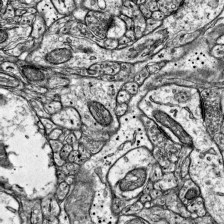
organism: Mouse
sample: Visual Cortex